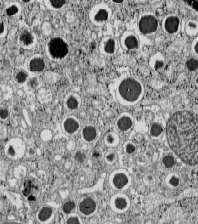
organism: C57BL Mouse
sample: Pancreatic islet